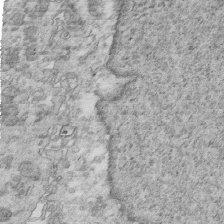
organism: Mouse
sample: Multiciliated cells